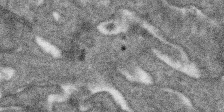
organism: Human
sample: Lung epithelial cells infected with SARS-CoV-2